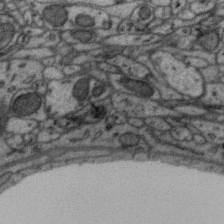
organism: Zebra finch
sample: Brain